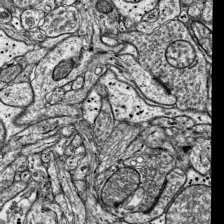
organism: Mouse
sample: Visual Cortex